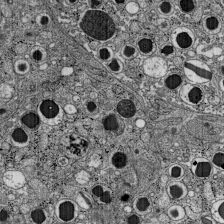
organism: C57BL Mouse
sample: Pancreatic islet